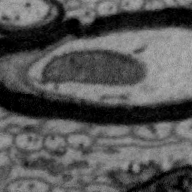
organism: Zebra finch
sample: Brain